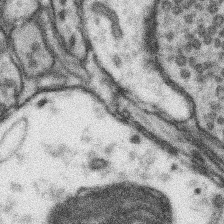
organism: Mouse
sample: Somatosensory cortex neuropil